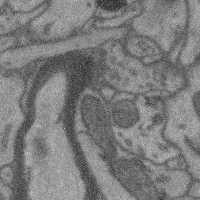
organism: Mouse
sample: Cerebral cortex